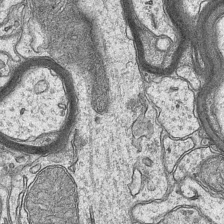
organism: Mouse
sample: CA1 Hippocampus